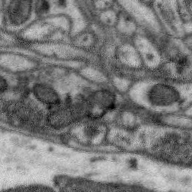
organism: Zebra finch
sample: Brain